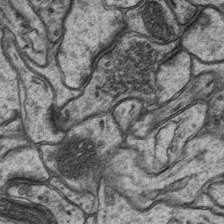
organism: Mouse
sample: CA1 Hippocampus